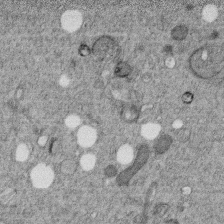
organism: C. elegans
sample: C. elegans embryo early stage